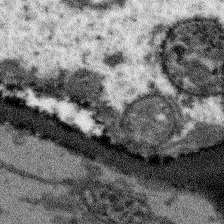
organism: Arabidopsis thaliana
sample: Root tip